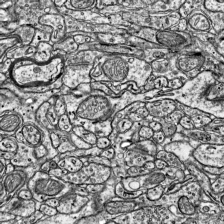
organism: Mouse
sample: Visual Cortex